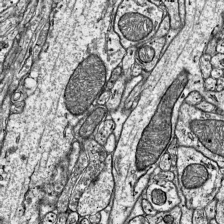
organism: Mouse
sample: Visual Cortex